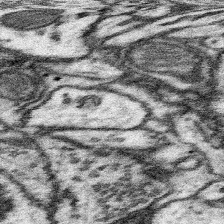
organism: Mouse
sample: Somatosensory cortex neuropil